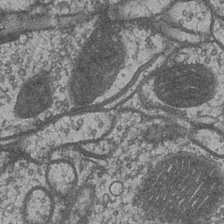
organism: Drosophila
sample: Optic medulla